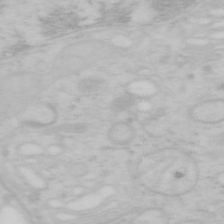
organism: Mouse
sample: OT-I killer T cells with ID8 ovarian cancer cells